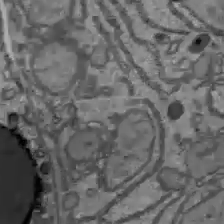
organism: C57BL Mouse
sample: Liver